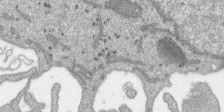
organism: Human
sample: Lung epithelial cells infected with SARS-CoV-2